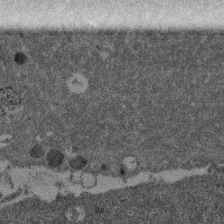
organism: Mouse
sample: Dividing mouse embryo 1 cell stage